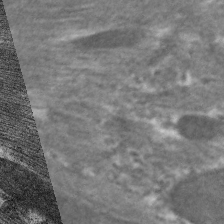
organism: C. elegans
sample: Pharynx